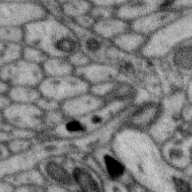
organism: Zebra finch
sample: Brain